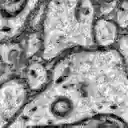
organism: Zebrafish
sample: Brain